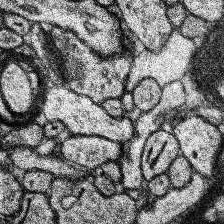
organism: Human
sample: Temporal Lobe